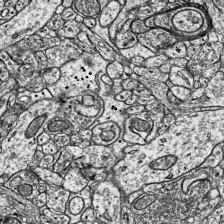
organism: Mouse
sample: Visual Cortex